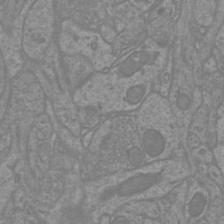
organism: Mouse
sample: Cortical neurons